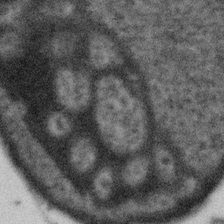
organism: Gemmata obscuriglobus